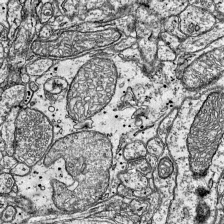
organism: Mouse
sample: Visual Cortex